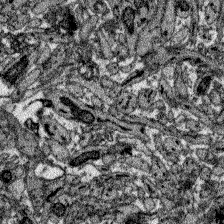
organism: Zebrafish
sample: Larval olfactory bulb